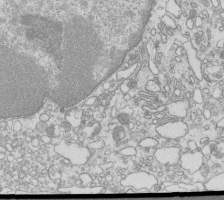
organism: Mouse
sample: Macrophages